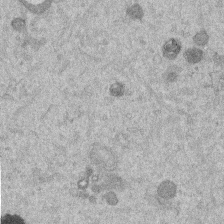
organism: Mouse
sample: Dividing mouse embryo 1 cell stage